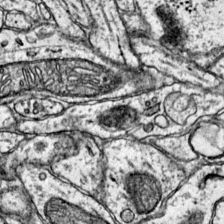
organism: Mouse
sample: Primary visual cortex